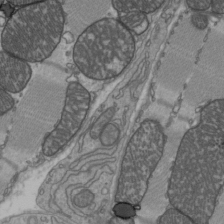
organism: C57BL Mouse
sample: Heart